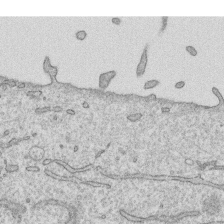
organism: Human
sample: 1205lu cells